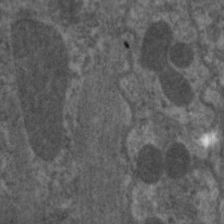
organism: C. elegans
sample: Pharynx